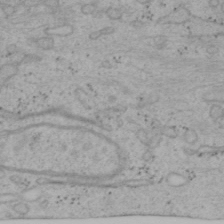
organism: Human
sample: HeLa cells